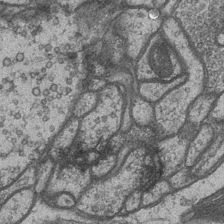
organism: Drosophila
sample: Optic medulla